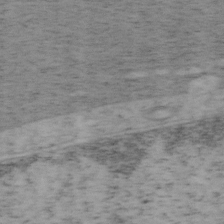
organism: Mouse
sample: OT-I killer T cells with ID8 ovarian cancer cells